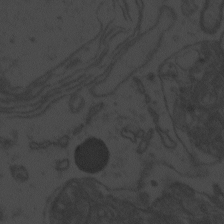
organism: Zebrafish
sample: Macrophage infected with Toxoplasma gondii